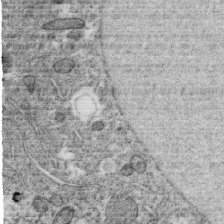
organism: C. elegans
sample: C. elegans oocyte; sperm cells